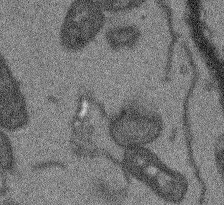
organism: Arabidopsis thaliana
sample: Root tip